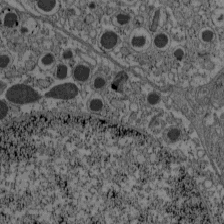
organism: C57BL Mouse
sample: Pancreatic islet